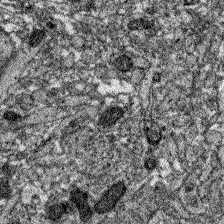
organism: Zebrafish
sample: Larval olfactory bulb